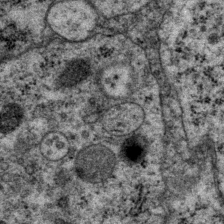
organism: P. pacificus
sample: Pharynx